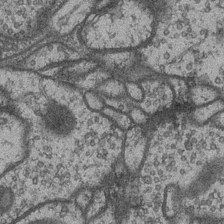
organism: Drosophila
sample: Optic medulla